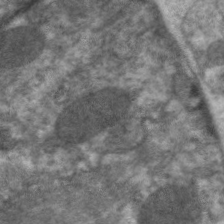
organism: C. elegans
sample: Pharynx